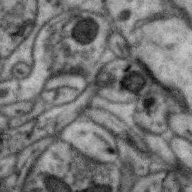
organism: Zebra finch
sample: Brain